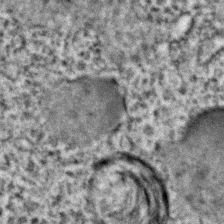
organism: C. elegans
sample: C. elegans embryo